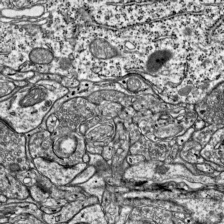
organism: Mouse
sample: Visual Cortex